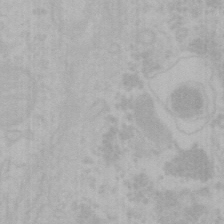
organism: Mouse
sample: Choroid plexus